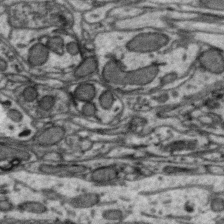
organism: Zebra finch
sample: Brain